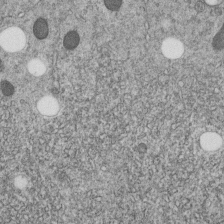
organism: C. elegans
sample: C. elegans embryo early stage